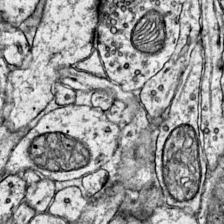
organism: Mouse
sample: Primary visual cortex